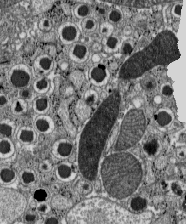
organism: C57BL Mouse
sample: Pancreatic islet